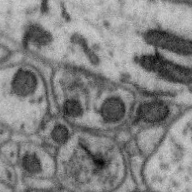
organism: Zebra finch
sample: Brain